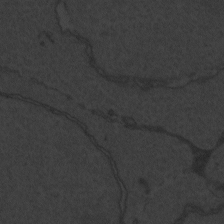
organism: Zebrafish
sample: Macrophage infected with Toxoplasma gondii